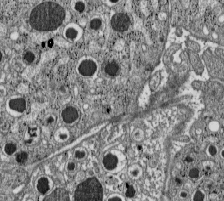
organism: C57BL Mouse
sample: Pancreatic islet